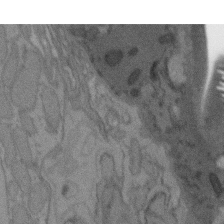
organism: C. elegans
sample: AFD neurons C. elegans